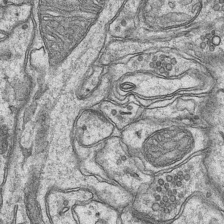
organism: Mouse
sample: CA1 Hippocampus